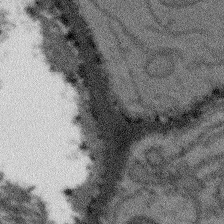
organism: Arabidopsis thaliana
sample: Root tip